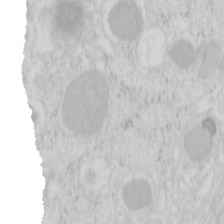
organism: Mouse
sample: Pancreas